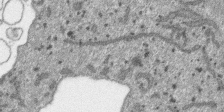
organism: Human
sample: Lung epithelial cells infected with SARS-CoV-2